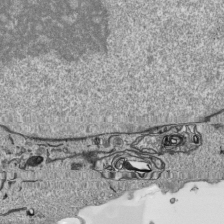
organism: Human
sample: Mitochondria in HCT116 cells